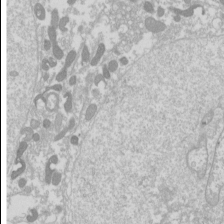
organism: Drosophila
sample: Cell division; meiosis; drosophila spermatocytes